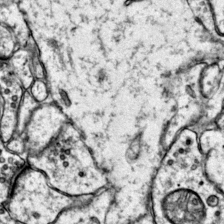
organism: Mouse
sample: Primary visual cortex